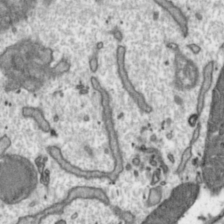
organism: Toxoplasma gondii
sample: Parasites in a vacuole inside a host cell